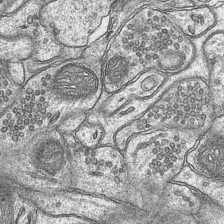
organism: Mouse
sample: CA1 Hippocampus